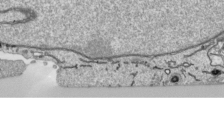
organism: Human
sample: Mitochondria in HCT116 cells